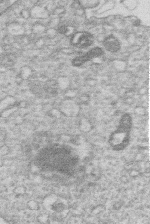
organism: Human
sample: Macrophage cells